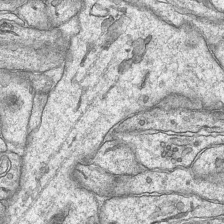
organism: Mouse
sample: CA1 Hippocampus